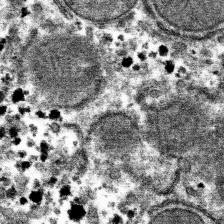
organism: Mouse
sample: Mouse hepatocytes